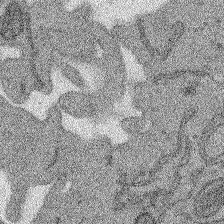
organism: Human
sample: HeLa cells